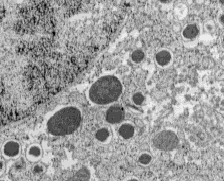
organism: C57BL Mouse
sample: Pancreatic islet